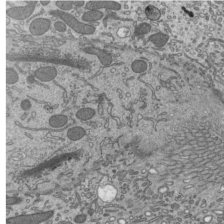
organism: Mouse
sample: Mouse epididymis efferent ductule cilia